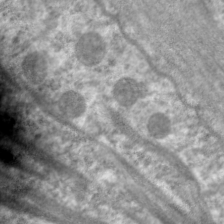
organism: C. elegans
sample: Pharynx